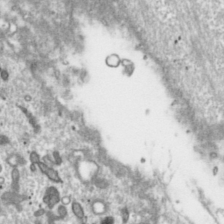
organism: Toxoplasma gondii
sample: Parasites in a vacuole inside a host cell